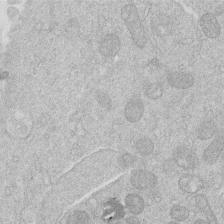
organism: Human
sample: Macrophage cells